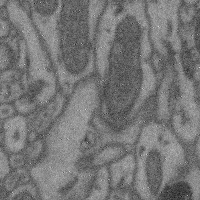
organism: Mouse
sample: Cerebral cortex